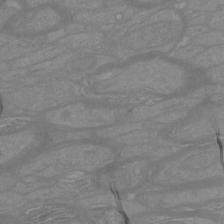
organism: Mouse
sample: Cortical neurons